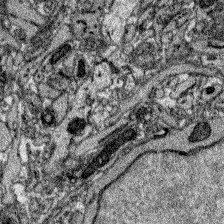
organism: Zebrafish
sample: Larval olfactory bulb